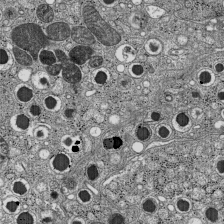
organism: C57BL Mouse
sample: Pancreatic islet